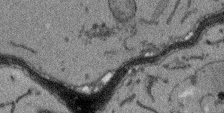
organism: Arabidopsis thaliana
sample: Root tip